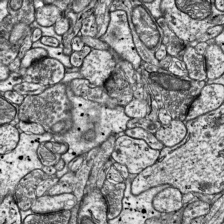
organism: Mouse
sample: Visual Cortex